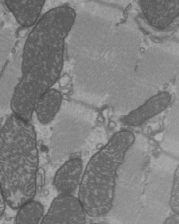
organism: C57BL Mouse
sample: Heart